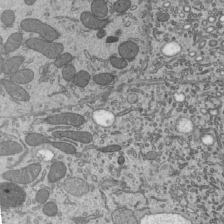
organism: Mouse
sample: Mouse epididymis efferent ductule cilia